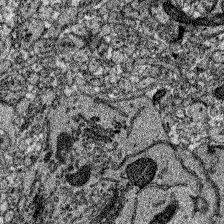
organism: Zebrafish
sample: Larval olfactory bulb